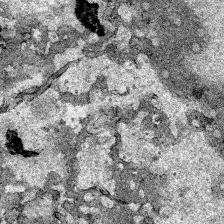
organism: Human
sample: Mitochondria in HCT116 cells